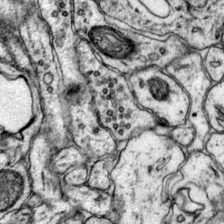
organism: Mouse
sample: Primary visual cortex